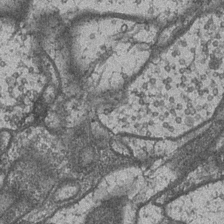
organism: Drosophila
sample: Optic medulla